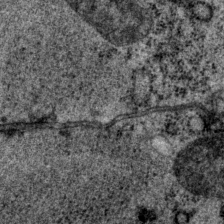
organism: P. pacificus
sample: Pharynx